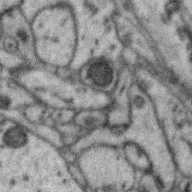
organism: Zebra finch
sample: Brain